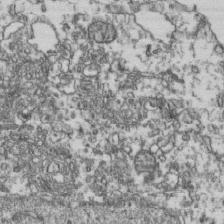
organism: Human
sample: Activated Jurkat CD4+ T cells